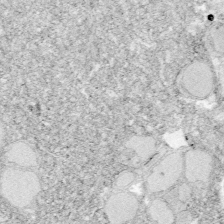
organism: Zebrafish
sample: Whole-Brain